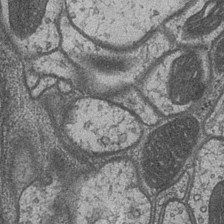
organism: Drosophila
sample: Optic medulla